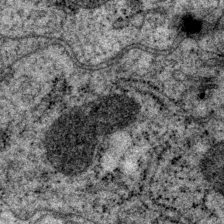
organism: P. pacificus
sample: Pharynx